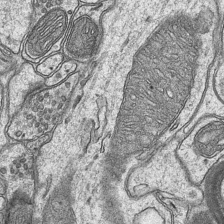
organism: Mouse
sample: CA1 Hippocampus